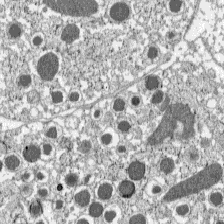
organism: C57BL Mouse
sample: Pancreatic islet